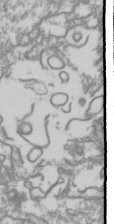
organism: Drosophila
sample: Cell division; meiosis; drosophila spermatocytes